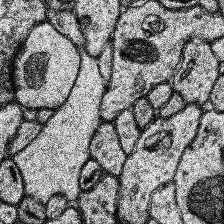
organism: Human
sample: Temporal Lobe